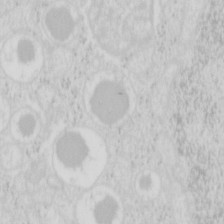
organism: Mouse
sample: Pancreas